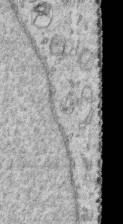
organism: Human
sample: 1205lu cells